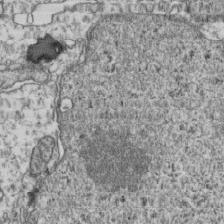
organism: Human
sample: Activated Jurkat CD4+ T cells